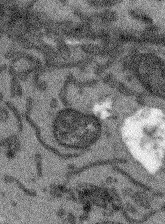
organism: Arabidopsis thaliana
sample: Root tip